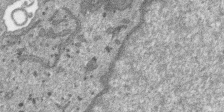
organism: Human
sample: Lung epithelial cells infected with SARS-CoV-2